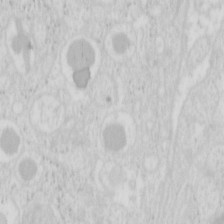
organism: Mouse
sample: Pancreas